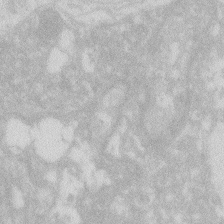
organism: Zebrafish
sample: Macrophage